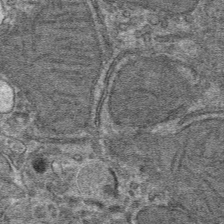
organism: Mouse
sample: Mouse hepatocytes